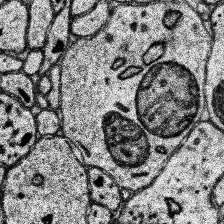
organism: Human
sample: Temporal Lobe